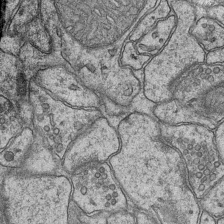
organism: Mouse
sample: CA1 Hippocampus